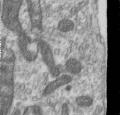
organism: Human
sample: Centriole in RPE cells